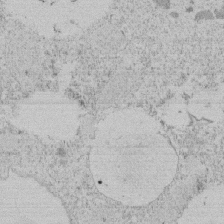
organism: Tetrahymena